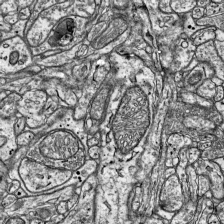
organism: Mouse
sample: Visual Cortex